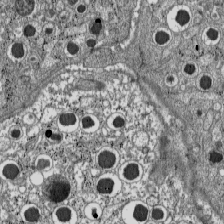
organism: C57BL Mouse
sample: Pancreatic islet